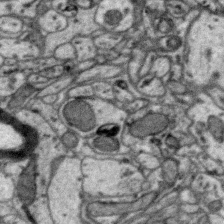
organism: Zebra finch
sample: Brain